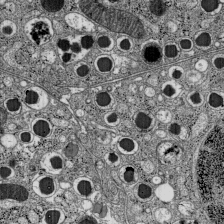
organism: C57BL Mouse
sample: Pancreatic islet